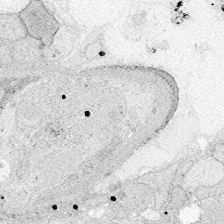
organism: Zebrafish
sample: Whole-Brain